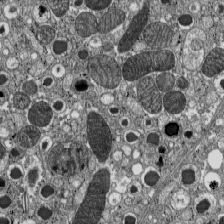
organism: C57BL Mouse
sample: Pancreatic islet